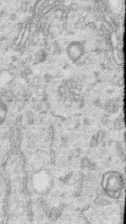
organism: Human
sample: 1205lu cells